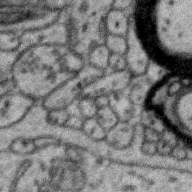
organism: Zebra finch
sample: Brain